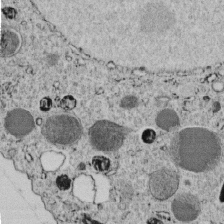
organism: C. elegans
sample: C. elegans embryo early stage